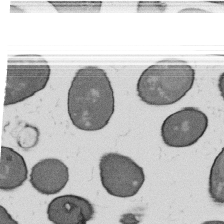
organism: B. subtilis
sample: Bacterial spore